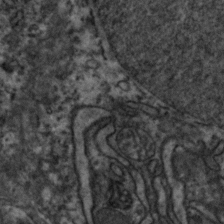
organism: Zebrafish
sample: Zebrafish embryo